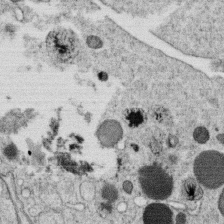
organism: C. elegans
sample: C. elegans oocyte; sperm cells